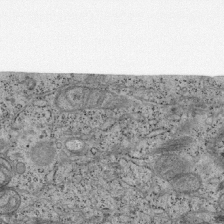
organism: Human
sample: HeLa cells